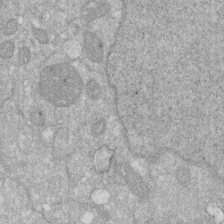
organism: Human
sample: HIV infected U937 cells